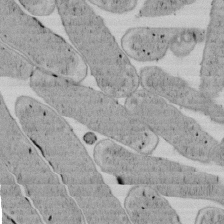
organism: E. coli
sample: Bacterial nucleoid